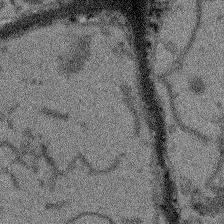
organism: Arabidopsis thaliana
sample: Root tip